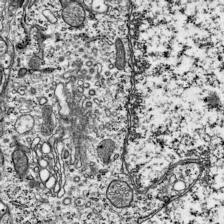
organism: Mouse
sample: Visual Cortex